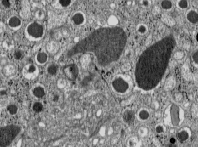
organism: C57BL Mouse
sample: Pancreatic islet